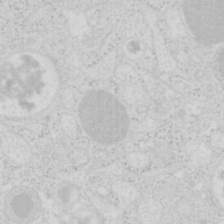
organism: Mouse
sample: Pancreas